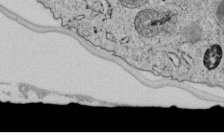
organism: C. elegans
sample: C. elegans embryo early stage